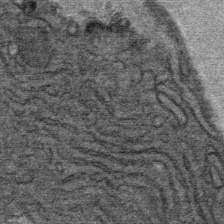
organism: Mouse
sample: Mouse Salivary gland